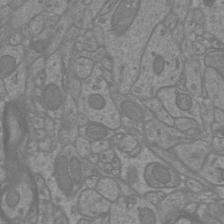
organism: Mouse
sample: Cortical neurons